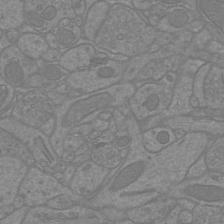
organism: Mouse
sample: Cortical neurons